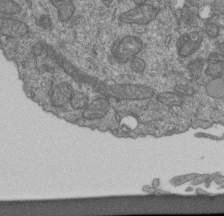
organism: Human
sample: Retinal organoid Rod and Cone cells